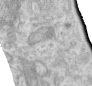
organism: Human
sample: Centriole in RPE cells